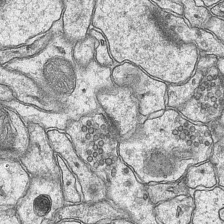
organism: Mouse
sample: CA1 Hippocampus